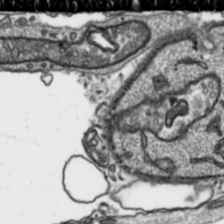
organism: Toxoplasma gondii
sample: Parasites in a vacuole inside a host cell